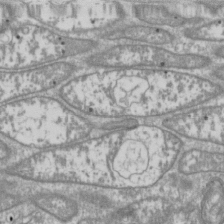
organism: Drosophila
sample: Cell division; meiosis; drosophila spermatocytes